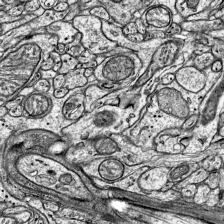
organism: Mouse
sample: Visual Cortex